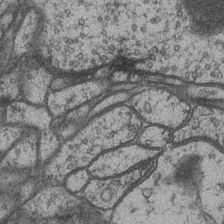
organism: Drosophila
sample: Optic medulla